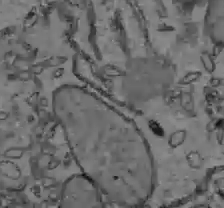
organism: C57BL Mouse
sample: Liver